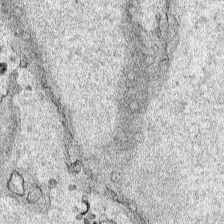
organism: Human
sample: Mitochondria in HCT116 cells